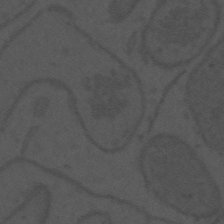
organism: Mouse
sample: Suprachiasmatic nucleus